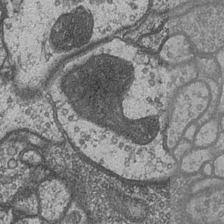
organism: Drosophila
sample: Optic medulla